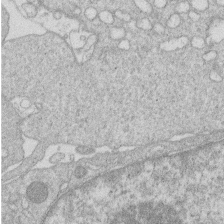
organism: Human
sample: Macrophage cells